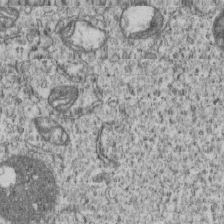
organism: Human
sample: MDA-MB-231 cells